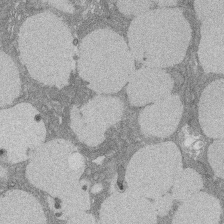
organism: Rat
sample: Salivary granule